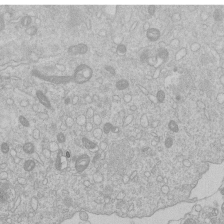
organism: Human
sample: Macrophage cells